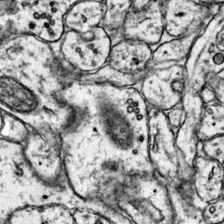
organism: Mouse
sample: Primary visual cortex